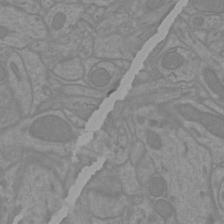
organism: Mouse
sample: Cortical neurons